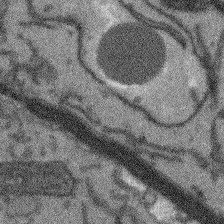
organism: Arabidopsis thaliana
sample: Root tip